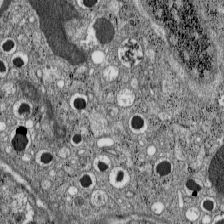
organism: C57BL Mouse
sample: Pancreatic islet